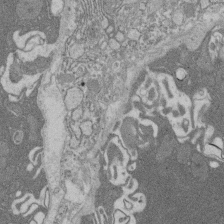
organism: Rat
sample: Salivary granule